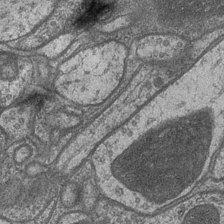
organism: Drosophila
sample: Optic medulla